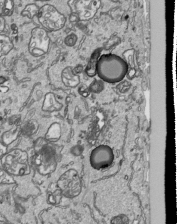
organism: Human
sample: Mitochondria in HCT116 cells